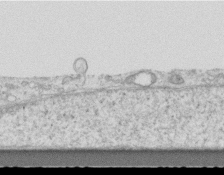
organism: Mouse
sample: Centriole in ependymal cells